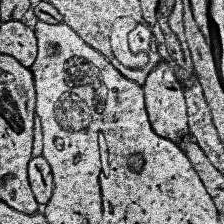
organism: Human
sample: Temporal Lobe